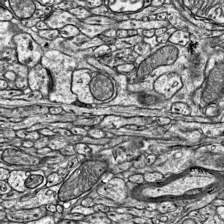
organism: Mouse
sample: Visual Cortex